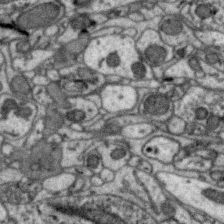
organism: Zebra finch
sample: Brain